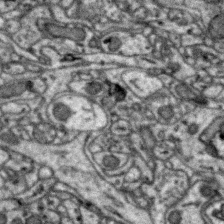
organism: Zebra finch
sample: Brain